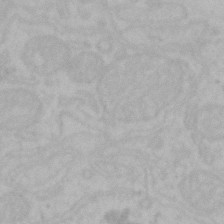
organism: Mouse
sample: Choroid plexus